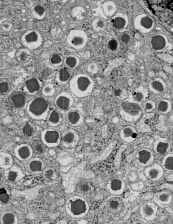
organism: C57BL Mouse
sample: Pancreatic islet